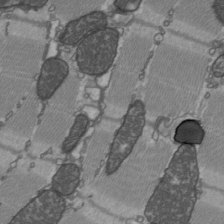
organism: C57BL Mouse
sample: Heart